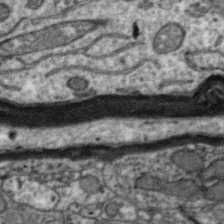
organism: Zebra finch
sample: Brain